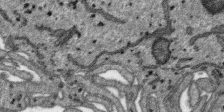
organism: Human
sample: Lung epithelial cells, uninfected (mock) control